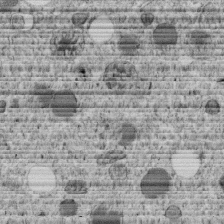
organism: C. elegans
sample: C. elegans embryo early stage